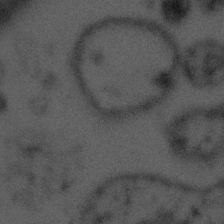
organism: Tuwongella immobilis